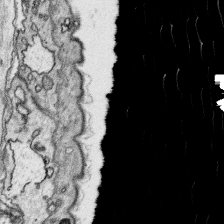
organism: Platynereis dumerilii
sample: Parapodia